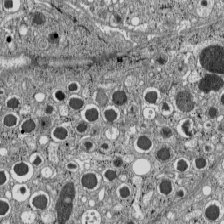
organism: C57BL Mouse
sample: Pancreatic islet